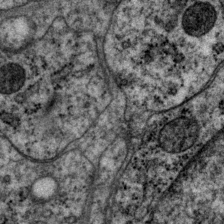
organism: P. pacificus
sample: Pharynx